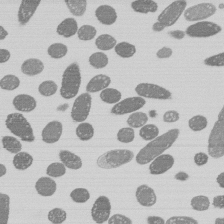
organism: E. coli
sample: Bacterial nucleoid